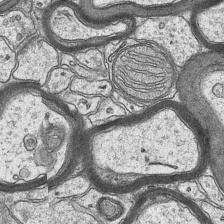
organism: Mouse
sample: CA1 Hippocampus